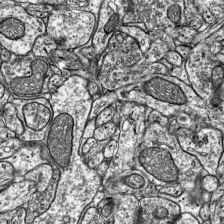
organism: Mouse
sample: Visual Cortex